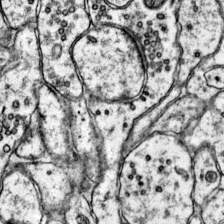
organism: Mouse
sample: Primary visual cortex